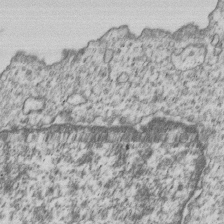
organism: Human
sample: MDA-MB-231 cells